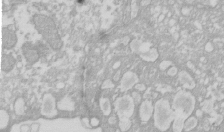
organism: Xenopus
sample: Cilia; centrioles in frog embryo cells